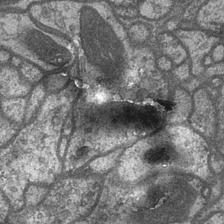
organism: Drosophila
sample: Optic medulla